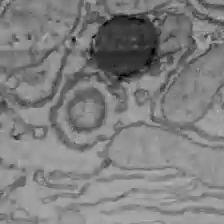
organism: C57BL Mouse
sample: Liver